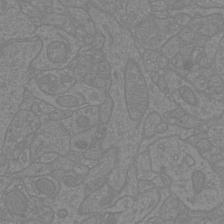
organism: Mouse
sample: Cortical neurons